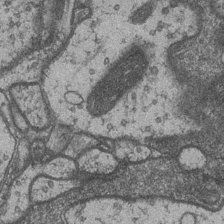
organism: Drosophila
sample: Optic medulla